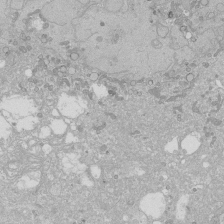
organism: Human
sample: Caco-2 cells